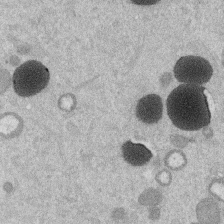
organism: Mouse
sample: Dividing mouse embryo 1 cell stage